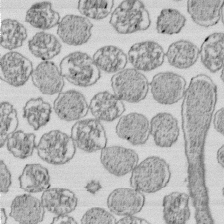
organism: E. coli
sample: Bacterial nucleoid